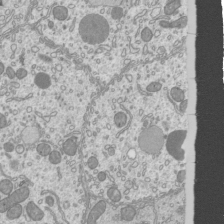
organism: Mouse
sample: Cilia; mouse epididymis